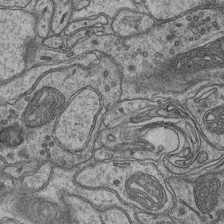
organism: Mouse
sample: CA1 Hippocampus